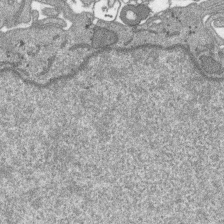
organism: Human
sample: Lung epithelial cells infected with SARS-CoV-2